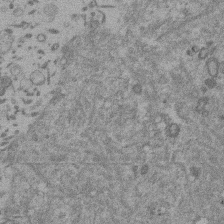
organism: Mouse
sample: Dividing mouse embryo 1 cell stage